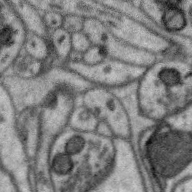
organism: Zebra finch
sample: Brain